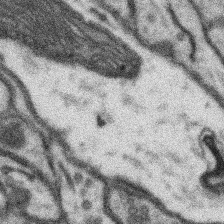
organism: Mouse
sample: Somatosensory cortex neuropil